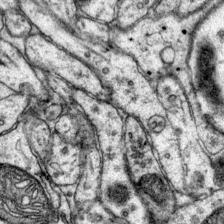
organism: Mouse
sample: Primary visual cortex